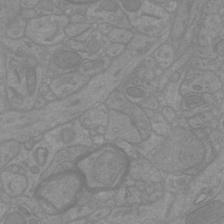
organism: Mouse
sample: Cortical neurons